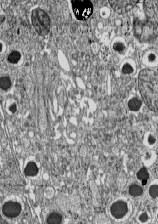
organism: C57BL Mouse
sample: Pancreatic islet